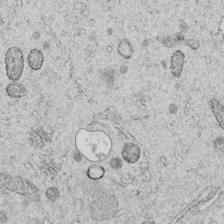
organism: C. elegans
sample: C. elegans embryo early stage